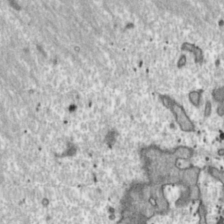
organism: Toxoplasma gondii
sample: Parasites in a vacuole inside a host cell